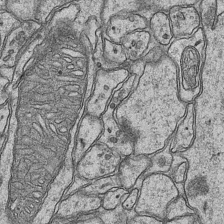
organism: Mouse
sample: CA1 Hippocampus